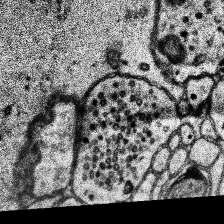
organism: Human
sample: Temporal Lobe